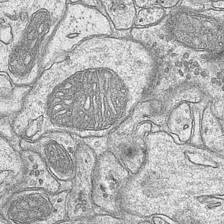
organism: Mouse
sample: CA1 Hippocampus